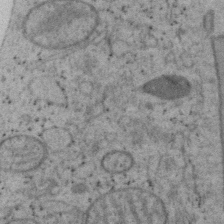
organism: Human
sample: HeLa cells